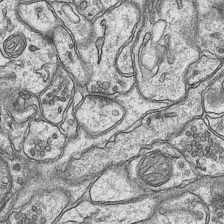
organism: Mouse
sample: CA1 Hippocampus